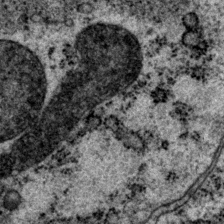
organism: P. pacificus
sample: Pharynx